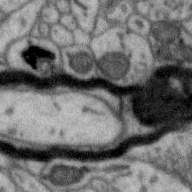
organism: Zebra finch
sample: Brain